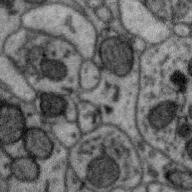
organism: Zebra finch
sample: Brain